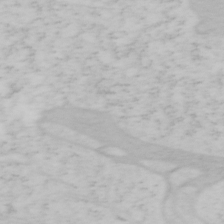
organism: Mouse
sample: OT-I killer T cells with ID8 ovarian cancer cells